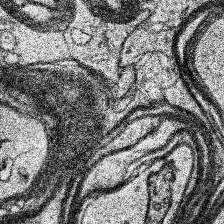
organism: Human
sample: Temporal Lobe